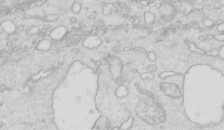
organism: Mouse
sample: Multiciliated cells